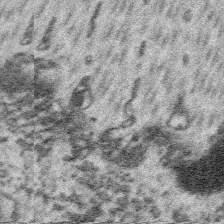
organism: Platynereis dumerilii